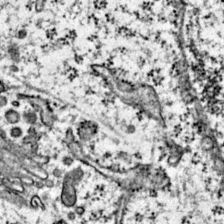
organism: Mouse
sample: Primary visual cortex